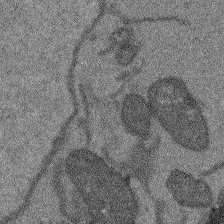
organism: Arabidopsis thaliana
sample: Root tip